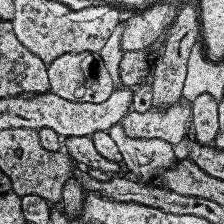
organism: Human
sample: Temporal Lobe